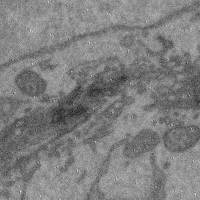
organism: Mouse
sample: Cerebral cortex